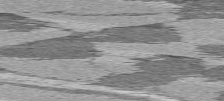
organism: C57BL Mouse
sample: Heart